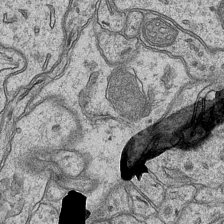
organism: Mouse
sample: CA1 Hippocampus